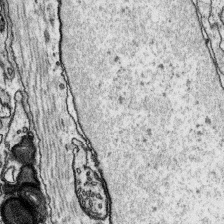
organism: Platynereis dumerilii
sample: Parapodia